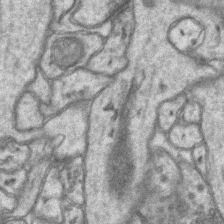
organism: Mouse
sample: CA1 Hippocampus